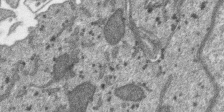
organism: Human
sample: Lung epithelial cells infected with SARS-CoV-2